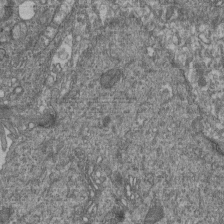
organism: Human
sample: Retinal organoid Rod and Cone cells